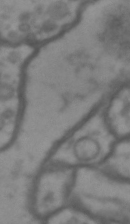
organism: Drosophila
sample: Brain